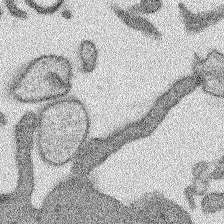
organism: Human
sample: HeLa cells